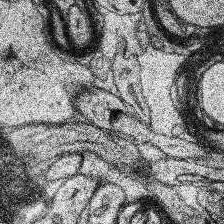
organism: Human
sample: Temporal Lobe